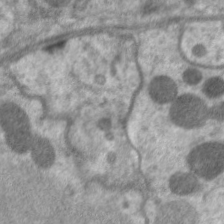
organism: C. elegans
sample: Pharynx